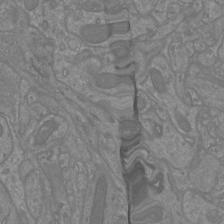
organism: Mouse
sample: Cortical neurons